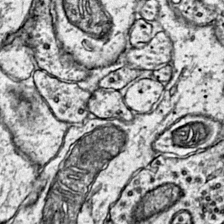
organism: Mouse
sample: Primary visual cortex